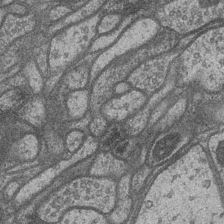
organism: Drosophila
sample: Optic medulla